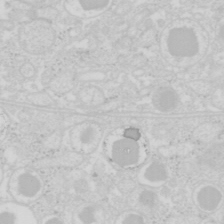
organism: Mouse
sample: Pancreas